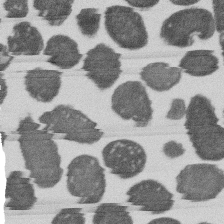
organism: E. coli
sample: Bacterial nucleoid